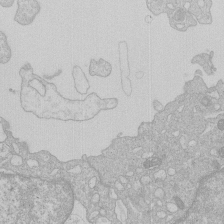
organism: Human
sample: Macrophage cells